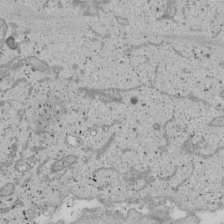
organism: Human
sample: Mitochondria in U2OS cells